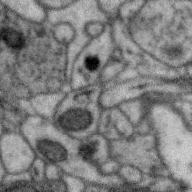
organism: Zebra finch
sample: Brain